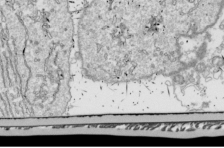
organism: Drosophila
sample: Cell division; meiosis; drosophila spermatocytes